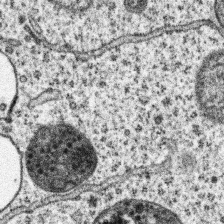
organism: Human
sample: HeLa cells